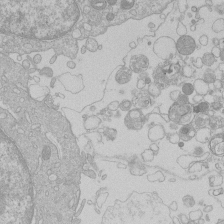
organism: Human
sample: Macrophage cells